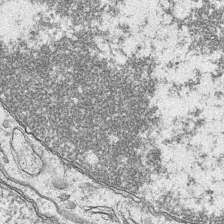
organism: Mouse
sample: CA1 Hippocampus